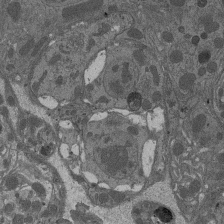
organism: Drosophila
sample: Antenna